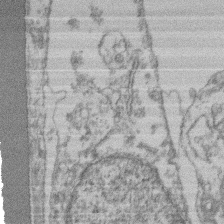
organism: Mouse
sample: T cell stromal cell synapse